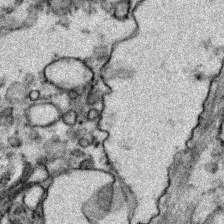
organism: Zebrafish